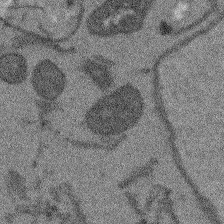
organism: Arabidopsis thaliana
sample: Root tip